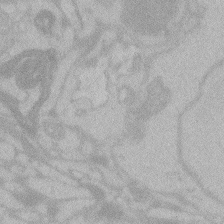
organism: Zebrafish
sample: Macrophage infected with Toxoplasma gondii